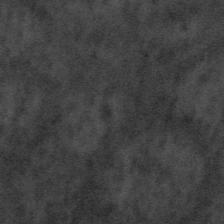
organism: Tuwongella immobilis